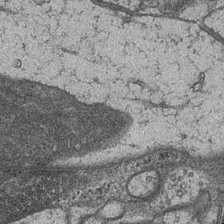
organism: Drosophila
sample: Optic medulla